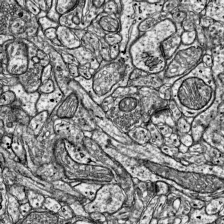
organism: Mouse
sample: Visual Cortex